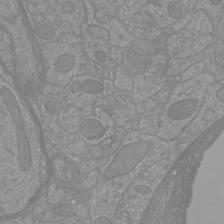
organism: Mouse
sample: Cortical neurons